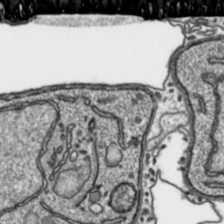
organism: Toxoplasma gondii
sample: Parasites in a vacuole inside a host cell